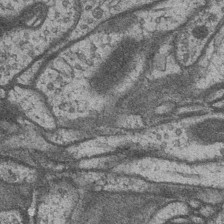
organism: Drosophila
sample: Optic medulla